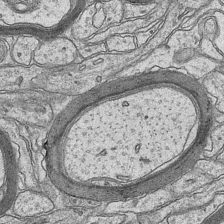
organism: Mouse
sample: CA1 Hippocampus